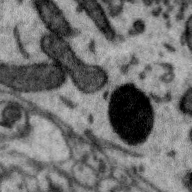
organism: Zebra finch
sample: Brain